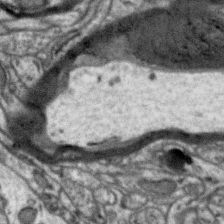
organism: Zebra finch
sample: Brain